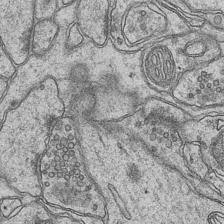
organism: Mouse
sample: CA1 Hippocampus